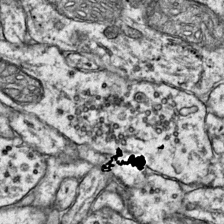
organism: Mouse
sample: Primary visual cortex